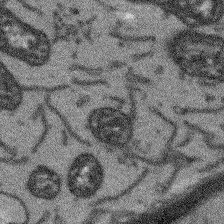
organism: Arabidopsis thaliana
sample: Root tip